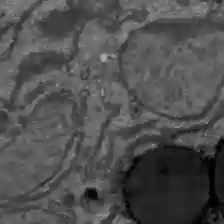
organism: C57BL Mouse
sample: Liver